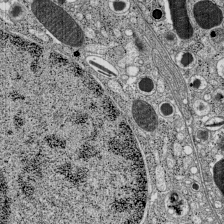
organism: C57BL Mouse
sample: Pancreatic islet